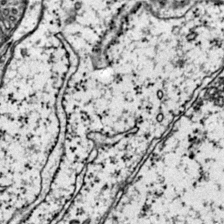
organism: Mouse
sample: Primary visual cortex